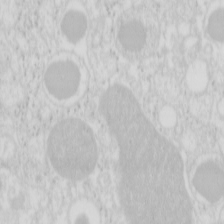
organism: Mouse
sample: Pancreas